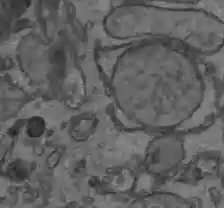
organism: C57BL Mouse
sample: Liver